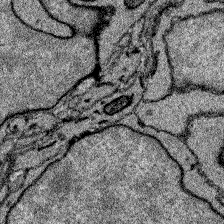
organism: Zebrafish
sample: Larval olfactory bulb